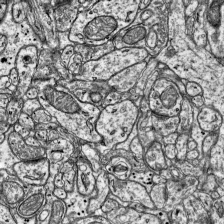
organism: Mouse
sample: Visual Cortex